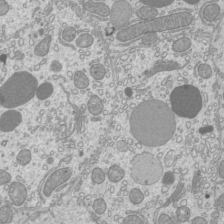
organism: Mouse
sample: Cilia; mouse epididymis